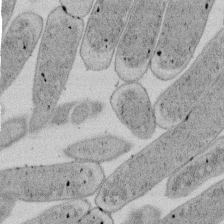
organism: E. coli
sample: Bacterial nucleoid